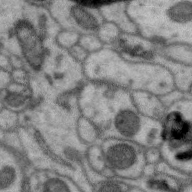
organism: Zebra finch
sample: Brain